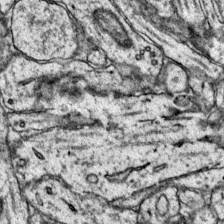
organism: Mouse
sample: Primary visual cortex